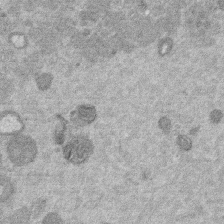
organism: Mouse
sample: Dividing mouse embryo 1 cell stage